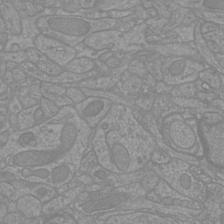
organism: Mouse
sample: Cortical neurons